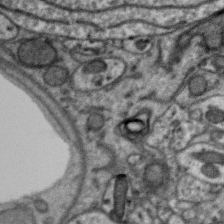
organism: Zebra finch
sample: Brain